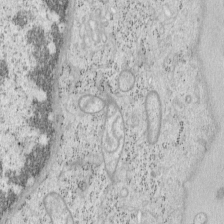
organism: Mouse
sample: OT-I killer T cells with ID8 ovarian cancer cells